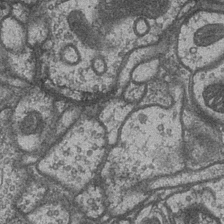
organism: Drosophila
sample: Optic medulla